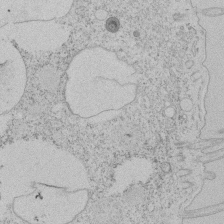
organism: Tetrahymena